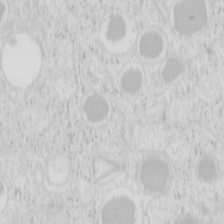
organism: Mouse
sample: Pancreas